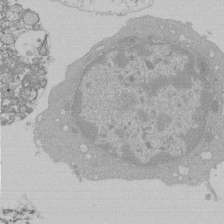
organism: Mouse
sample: Activated Pmel transgenic CD8+ T Cells